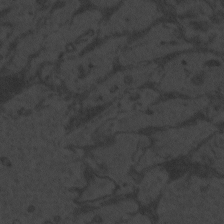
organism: Zebrafish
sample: Macrophage infected with Toxoplasma gondii